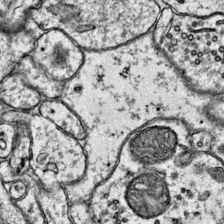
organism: Mouse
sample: Primary visual cortex